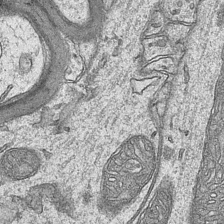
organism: Mouse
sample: CA1 Hippocampus